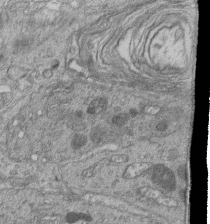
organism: Human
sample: Retinal organoid Rod and Cone cells